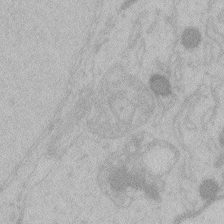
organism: Zebrafish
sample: Macrophage infected with Toxoplasma gondii